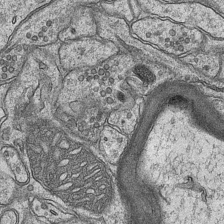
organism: Mouse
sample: CA1 Hippocampus